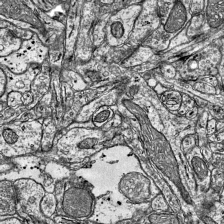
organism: Mouse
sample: Visual Cortex